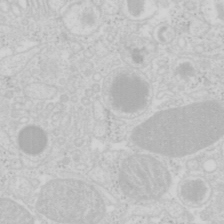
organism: Mouse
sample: Pancreas